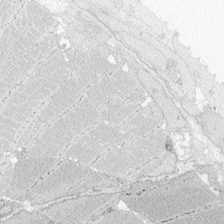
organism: Zebrafish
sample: Whole-Brain